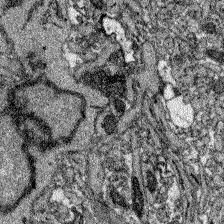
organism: Zebrafish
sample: Larval olfactory bulb